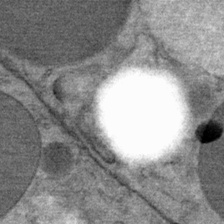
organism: Mouse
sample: Mouse Salivary gland